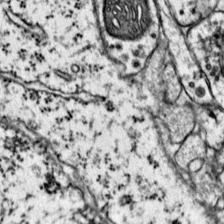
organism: Mouse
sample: Primary visual cortex